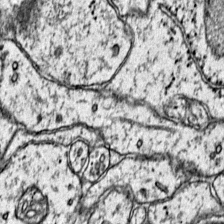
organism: Mouse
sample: Primary visual cortex